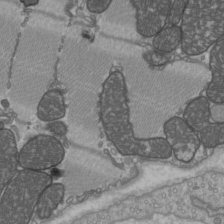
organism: C57BL Mouse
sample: Heart